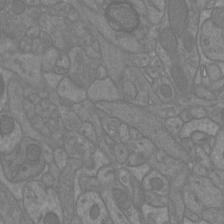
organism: Mouse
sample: Cortical neurons